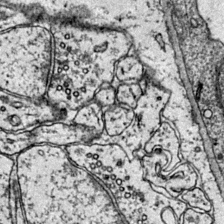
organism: Mouse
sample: Primary visual cortex